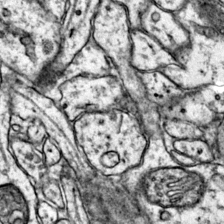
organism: Mouse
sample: Primary visual cortex